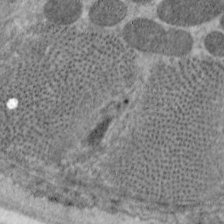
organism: C. elegans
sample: Pharynx